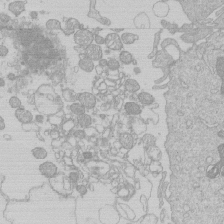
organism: Human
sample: Macrophage cells